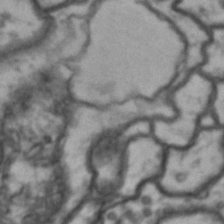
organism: Drosophila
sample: Brain